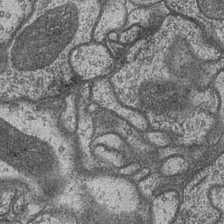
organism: Drosophila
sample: Optic medulla